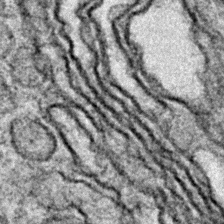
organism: Zebrafish